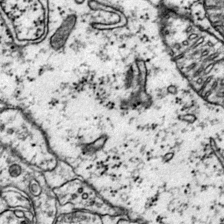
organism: Mouse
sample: Primary visual cortex